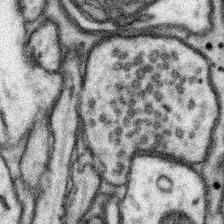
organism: Mouse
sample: Somatosensory cortex neuropil